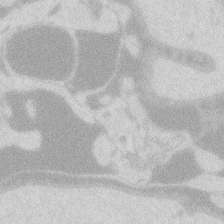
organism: Zebrafish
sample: Macrophage